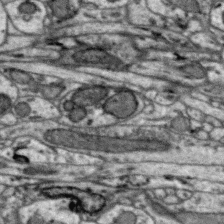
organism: Zebra finch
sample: Brain